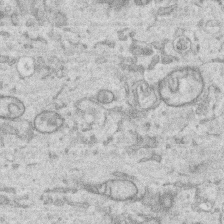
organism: Human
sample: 1205lu cells